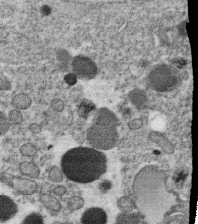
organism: C. elegans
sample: C. elegans oocyte; sperm cells